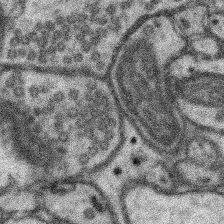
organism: Mouse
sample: Somatosensory cortex neuropil